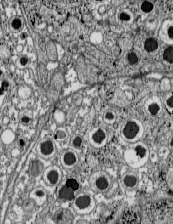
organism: C57BL Mouse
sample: Pancreatic islet